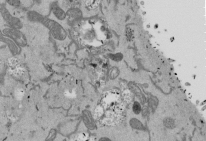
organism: Mouse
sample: ED-1 cell nuclei; centrioles